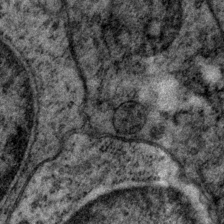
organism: P. pacificus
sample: Pharynx